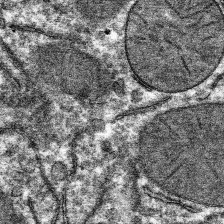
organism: Mouse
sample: Mouse hepatocytes